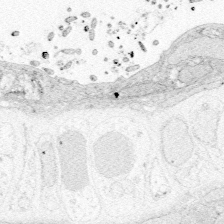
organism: Zebrafish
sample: Whole-Brain